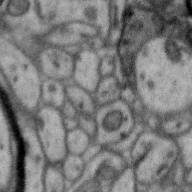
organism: Zebra finch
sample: Brain